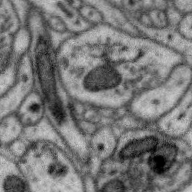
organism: Zebra finch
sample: Brain